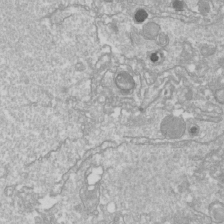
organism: Drosophila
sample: Cell division; meiosis; drosophila spermatocytes